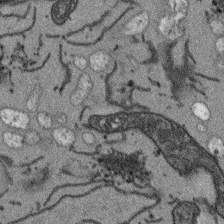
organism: Arabidopsis thaliana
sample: Root tip